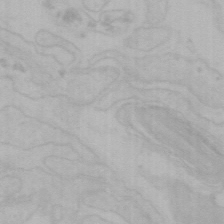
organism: Mouse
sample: Choroid plexus